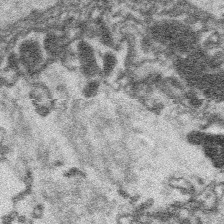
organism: Platynereis dumerilii